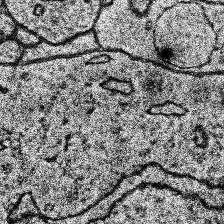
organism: Human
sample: Temporal Lobe